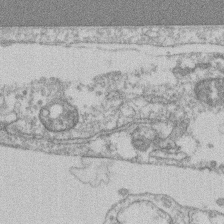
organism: Mouse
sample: T cell stromal cell synapse